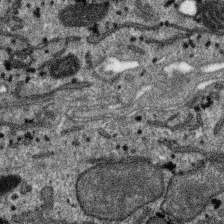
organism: Human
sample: Lung epithelial cells infected with SARS-CoV-2